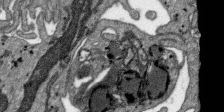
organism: Human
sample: Lung epithelial cells, uninfected (mock) control